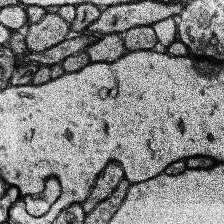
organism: Human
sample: Temporal Lobe